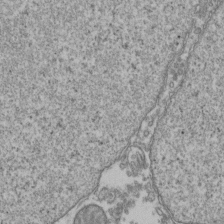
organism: Human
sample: Activated Jurkat CD4+ T cells